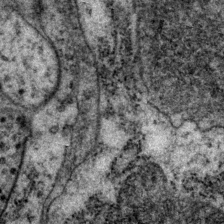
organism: P. pacificus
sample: Pharynx